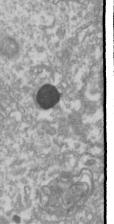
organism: Drosophila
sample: Cell division; meiosis; drosophila spermatocytes